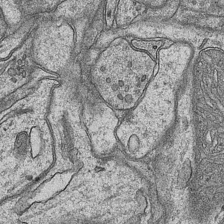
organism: Mouse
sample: CA1 Hippocampus